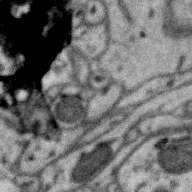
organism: Zebra finch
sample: Brain